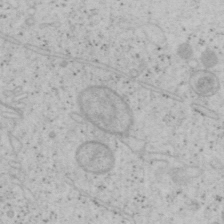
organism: Human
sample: HeLa cells